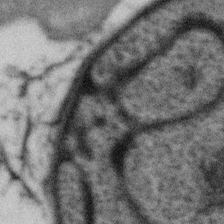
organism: Gemmata obscuriglobus